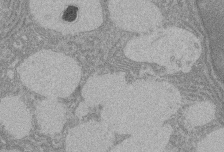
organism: Rat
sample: Salivary granule